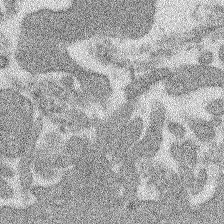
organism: Human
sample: HeLa cells